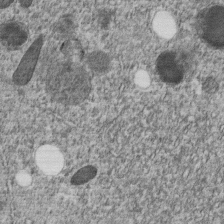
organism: C. elegans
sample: C. elegans embryo early stage